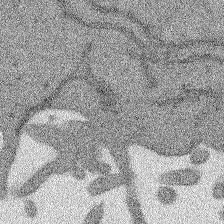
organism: Human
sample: HeLa cells